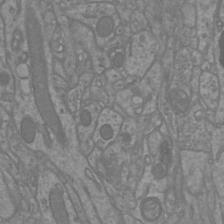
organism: Mouse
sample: Cortical neurons